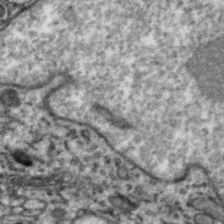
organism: Zebra finch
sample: Brain